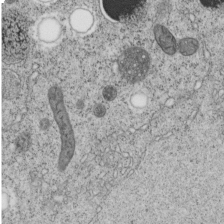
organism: C. elegans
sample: C. elegans embryo early stage